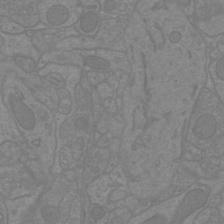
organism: Mouse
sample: Cortical neurons